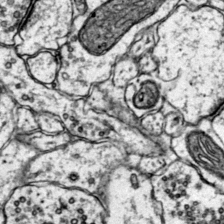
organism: Mouse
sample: Primary visual cortex